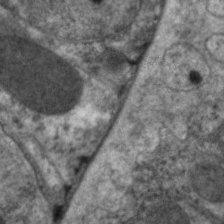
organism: C. elegans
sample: Pharynx